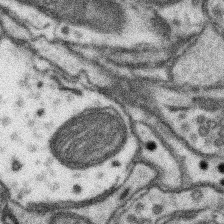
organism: Mouse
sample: Somatosensory cortex neuropil